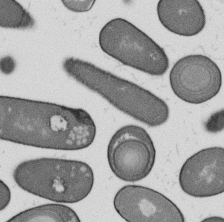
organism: B. subtilis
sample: Bacterial spore